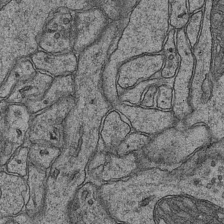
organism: Mouse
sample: CA1 Hippocampus